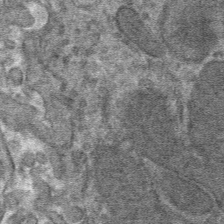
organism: Mouse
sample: Mouse hepatocytes